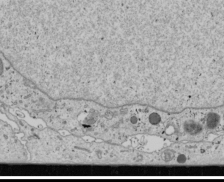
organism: Human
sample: Mitochondria in U2OS cells